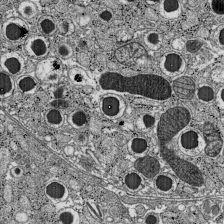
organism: C57BL Mouse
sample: Pancreatic islet